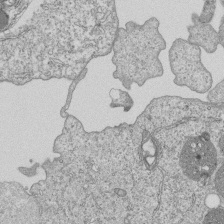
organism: Human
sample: MDA-MB-231 cells